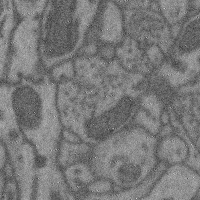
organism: Mouse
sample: Cerebral cortex